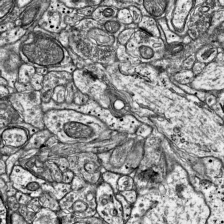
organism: Mouse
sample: Visual Cortex